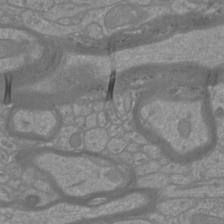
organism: Mouse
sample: Cortical neurons